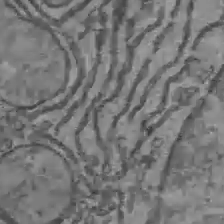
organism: C57BL Mouse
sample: Liver